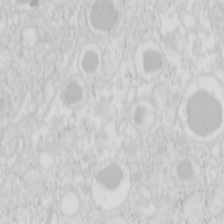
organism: Mouse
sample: Pancreas